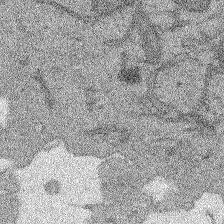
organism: Human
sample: HeLa cells